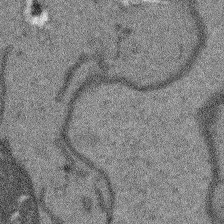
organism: Arabidopsis thaliana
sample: Root tip